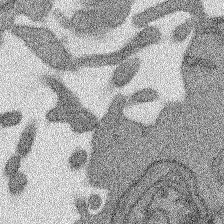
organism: Human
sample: HeLa cells